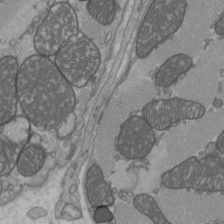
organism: C57BL Mouse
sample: Heart